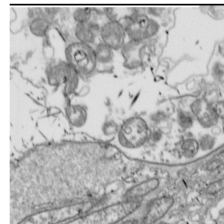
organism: Drosophila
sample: Cell division; meiosis; drosophila spermatocytes